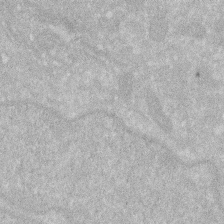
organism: Human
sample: HIV infected U937 cells